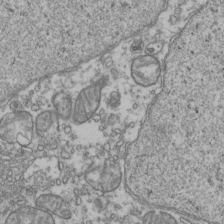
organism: Human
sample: Activated Jurkat CD4+ T cells